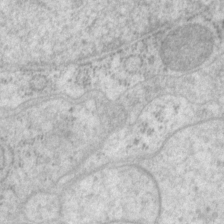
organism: P. pacificus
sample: Pharynx